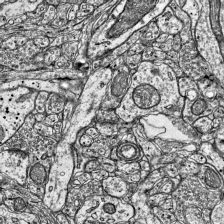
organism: Mouse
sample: Visual Cortex